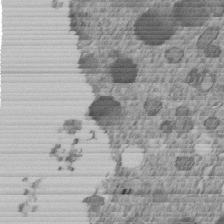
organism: C. elegans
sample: C. elegans embryo early stage